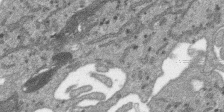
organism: Human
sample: Lung epithelial cells infected with SARS-CoV-2